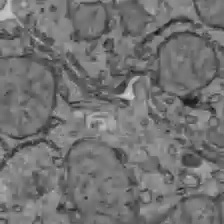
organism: C57BL Mouse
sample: Liver